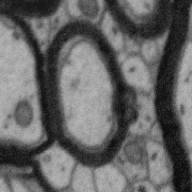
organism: Zebra finch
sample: Brain